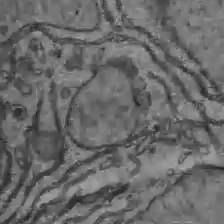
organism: C57BL Mouse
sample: Liver